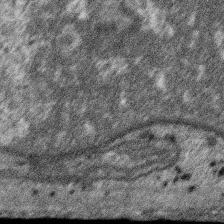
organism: Human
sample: Lung epithelial cells infected with SARS-CoV-2